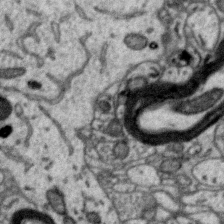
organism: Zebra finch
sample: Brain